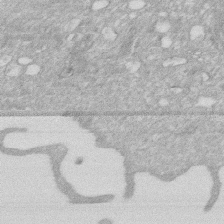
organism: Human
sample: HIV infected U937 cells